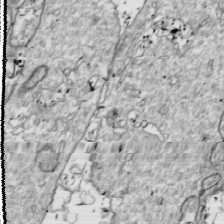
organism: Drosophila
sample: Cell division; meiosis; drosophila spermatocytes